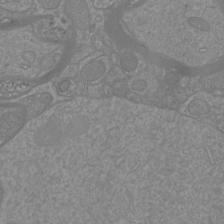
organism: Mouse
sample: Cortical neurons